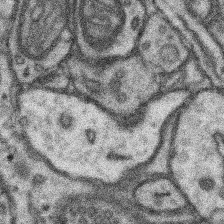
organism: Mouse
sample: Somatosensory cortex neuropil